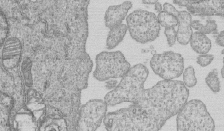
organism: Human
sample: MDA-MB-231 cells